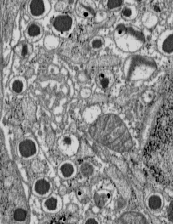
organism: C57BL Mouse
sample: Pancreatic islet